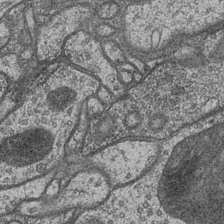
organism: Drosophila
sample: Optic medulla